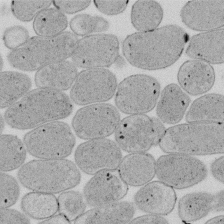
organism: E. coli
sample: Bacterial nucleoid